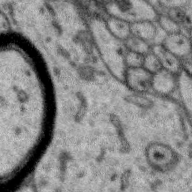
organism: Zebra finch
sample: Brain